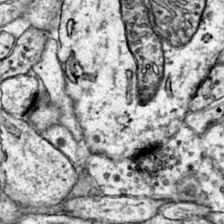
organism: Mouse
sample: Primary visual cortex